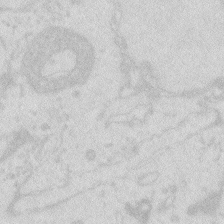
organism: Zebrafish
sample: Macrophage